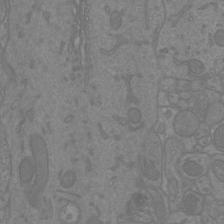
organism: Mouse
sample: Cortical neurons